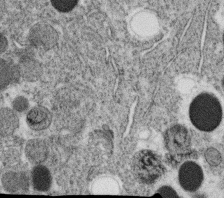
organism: C. elegans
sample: C. elegans oocyte; sperm cells